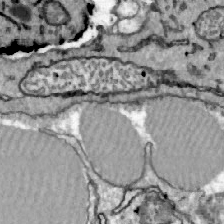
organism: Zebrafish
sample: Actinotrichia fibers